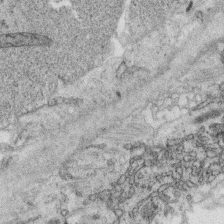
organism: C. elegans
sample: C. elegans oocyte; sperm cells